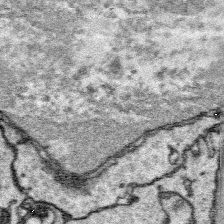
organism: Platynereis dumerilii